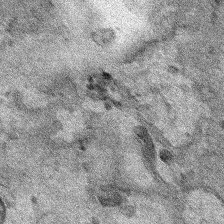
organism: Human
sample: Mitochondria in HCT116 cells